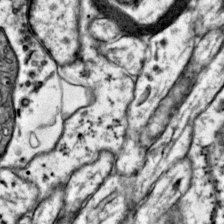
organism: Mouse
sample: Primary visual cortex